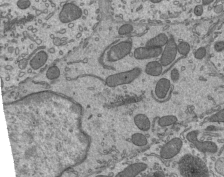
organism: Mouse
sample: Mouse epididymis efferent ductule cilia